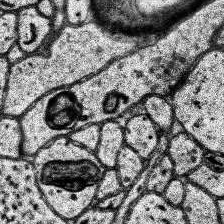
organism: Human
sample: Temporal Lobe